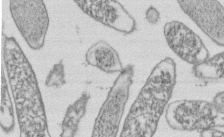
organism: E. coli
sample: Bacterial nucleoid